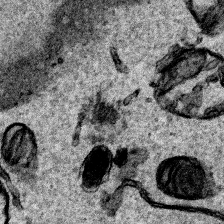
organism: Human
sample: Mitochondria in HCT116 cells